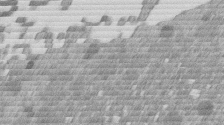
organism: Mouse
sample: Dividing mouse embryo 1 cell stage